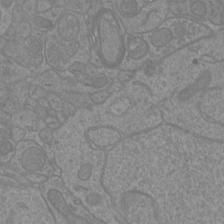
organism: Mouse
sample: Cortical neurons